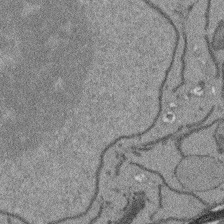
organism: Arabidopsis thaliana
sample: Root tip